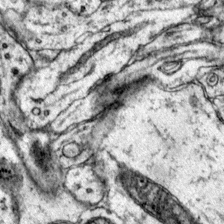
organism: Mouse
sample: Primary visual cortex